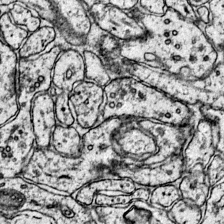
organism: Mouse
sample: Primary visual cortex